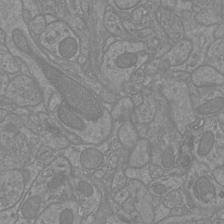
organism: Mouse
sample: Cortical neurons